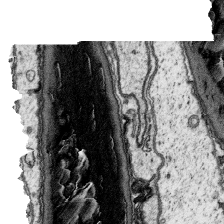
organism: Platynereis dumerilii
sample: Parapodia